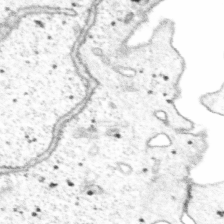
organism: Human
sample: HeLa cells